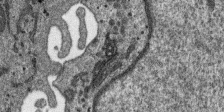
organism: Human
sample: Lung epithelial cells infected with SARS-CoV-2